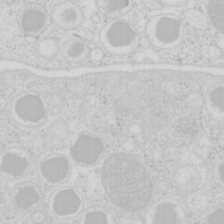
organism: Mouse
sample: Pancreas